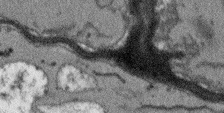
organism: Arabidopsis thaliana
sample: Root tip